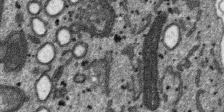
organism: Human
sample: Lung epithelial cells infected with SARS-CoV-2